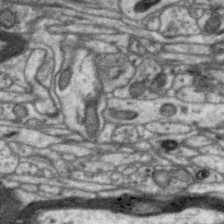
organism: Zebra finch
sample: Brain